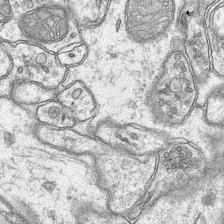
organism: Mouse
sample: CA1 Hippocampus